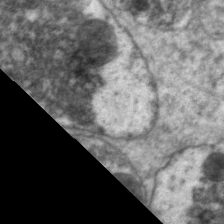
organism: C. elegans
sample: Pharynx